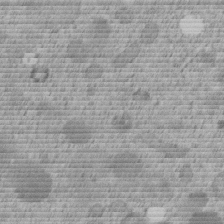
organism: C. elegans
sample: C. elegans embryo early stage